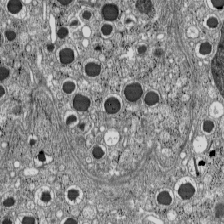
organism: C57BL Mouse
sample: Pancreatic islet